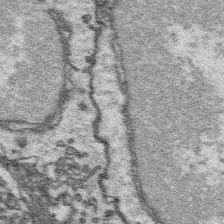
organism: Platynereis dumerilii